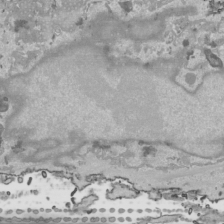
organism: Human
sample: Mitochondria in HCT116 cells